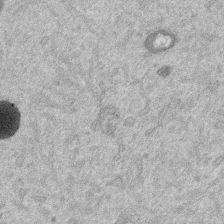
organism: Mouse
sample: Dividing mouse embryo 1 cell stage